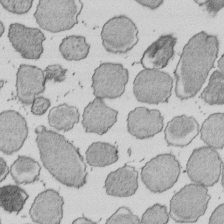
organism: E. coli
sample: Bacterial nucleoid